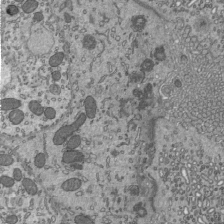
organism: Mouse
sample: Mouse epididymis efferent ductule cilia